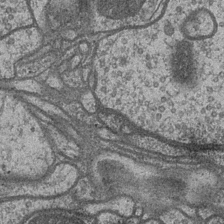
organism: Drosophila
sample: Optic medulla